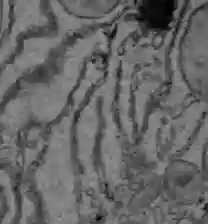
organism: C57BL Mouse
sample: Liver